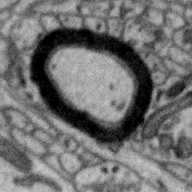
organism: Zebra finch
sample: Brain